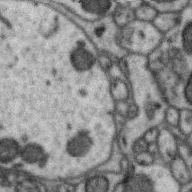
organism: Zebra finch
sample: Brain